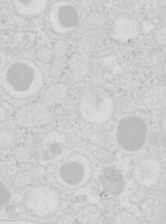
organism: Mouse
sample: Pancreas